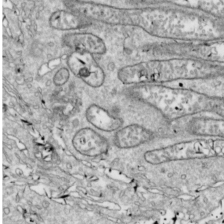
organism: Drosophila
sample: Cell division; meiosis; drosophila spermatocytes